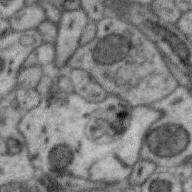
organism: Zebra finch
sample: Brain